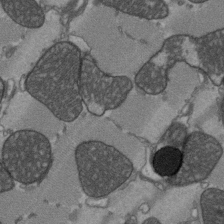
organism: C57BL Mouse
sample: Heart